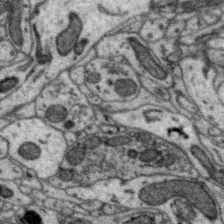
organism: Zebra finch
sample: Brain